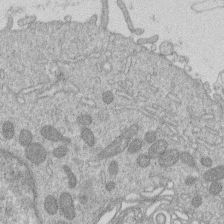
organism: Human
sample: Macrophage cells